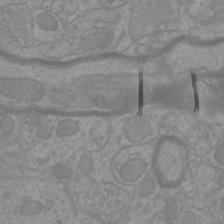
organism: Mouse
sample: Cortical neurons